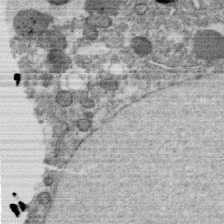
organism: C. elegans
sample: C. elegans oocyte; sperm cells